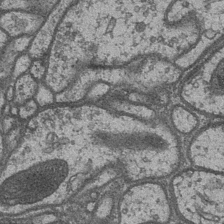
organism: Drosophila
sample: Optic medulla